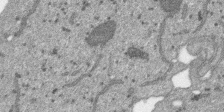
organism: Human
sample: Lung epithelial cells infected with SARS-CoV-2